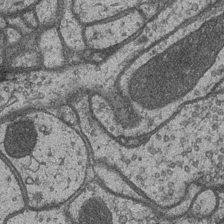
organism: Drosophila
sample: Optic medulla